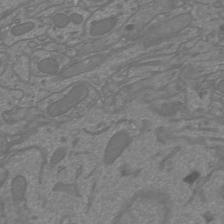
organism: Mouse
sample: Cortical neurons